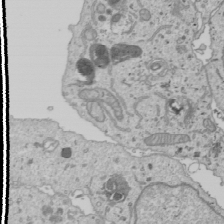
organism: Human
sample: Mitochondria in U2OS cells